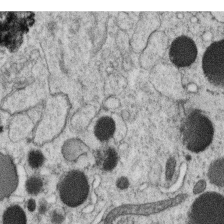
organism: C. elegans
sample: C. elegans oocyte; sperm cells